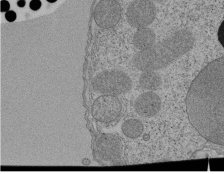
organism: Tetrahymena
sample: Cilia in tetrahymena